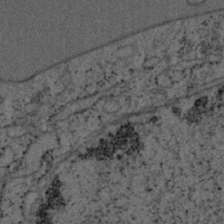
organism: Human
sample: HeLa cells